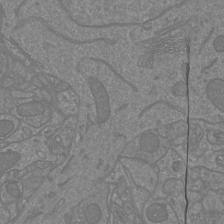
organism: Mouse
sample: Cortical neurons